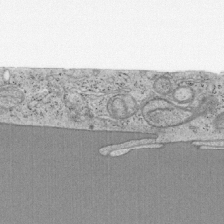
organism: Human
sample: HeLa cells